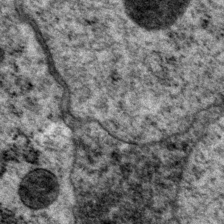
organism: P. pacificus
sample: Pharynx